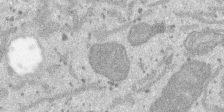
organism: Human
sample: Lung epithelial cells infected with SARS-CoV-2